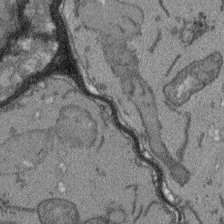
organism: Arabidopsis thaliana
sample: Root tip